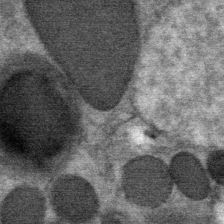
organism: Mouse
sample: Mouse Salivary gland